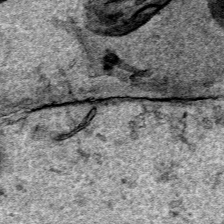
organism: Human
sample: Mitochondria in HCT116 cells